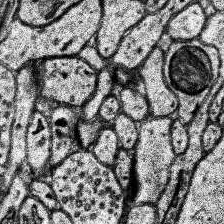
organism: Human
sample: Temporal Lobe